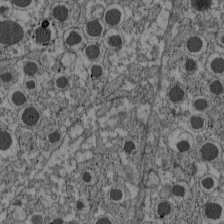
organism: C57BL Mouse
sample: Pancreatic islet